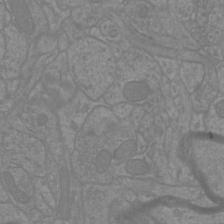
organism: Mouse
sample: Cortical neurons